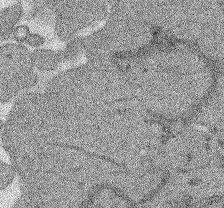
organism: Human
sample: HeLa cells